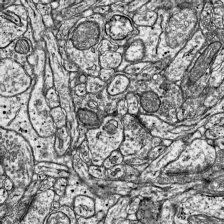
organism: Mouse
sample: Visual Cortex